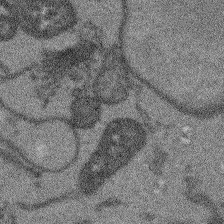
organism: Arabidopsis thaliana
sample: Root tip